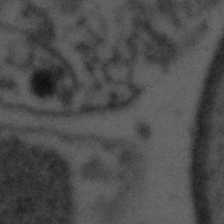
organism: Tuwongella immobilis